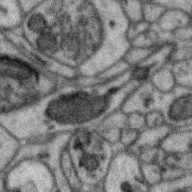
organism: Zebra finch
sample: Brain